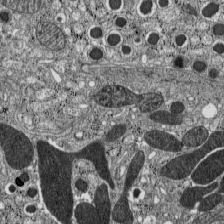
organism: C57BL Mouse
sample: Pancreatic islet